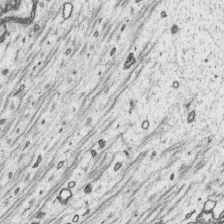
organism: Platynereis dumerilii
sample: Parapodia